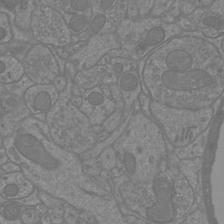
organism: Mouse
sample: Cortical neurons